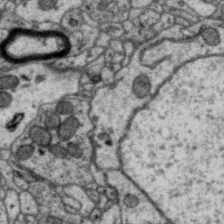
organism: Zebra finch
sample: Brain